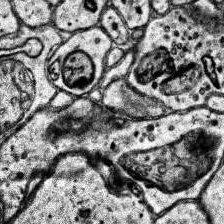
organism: Human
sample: Temporal Lobe